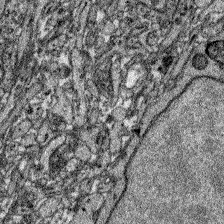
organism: Zebrafish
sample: Larval olfactory bulb